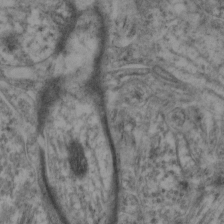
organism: Mouse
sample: Neocortex